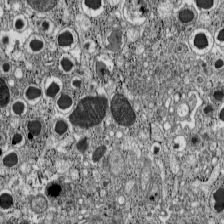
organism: C57BL Mouse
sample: Pancreatic islet